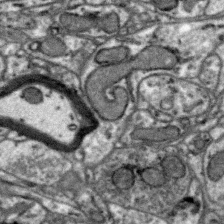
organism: Zebra finch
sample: Brain